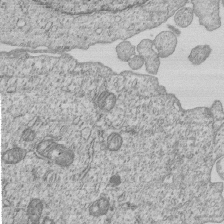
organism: Human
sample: MDA-MB-231 cells